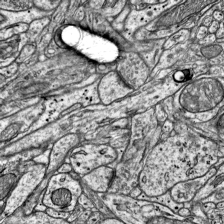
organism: Mouse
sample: Visual Cortex